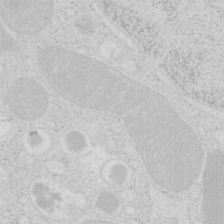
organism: Mouse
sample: Pancreas